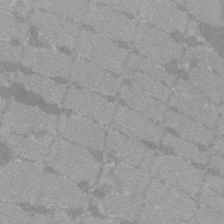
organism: C57BL Mouse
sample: Tibialis anterior muscle cell